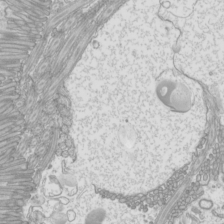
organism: Mouse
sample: Cilia; mouse epididymis